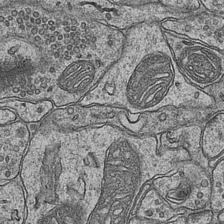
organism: Mouse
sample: CA1 Hippocampus